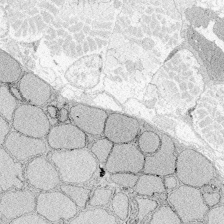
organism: Zebrafish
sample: Whole-Brain